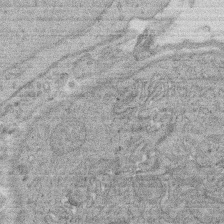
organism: Rat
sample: Salivary granule